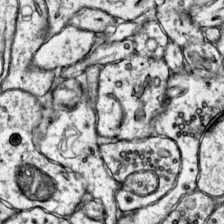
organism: Mouse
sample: Primary visual cortex